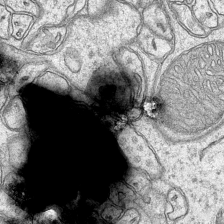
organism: Mouse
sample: CA1 Hippocampus